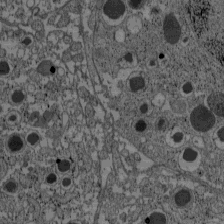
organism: C57BL Mouse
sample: Pancreatic islet